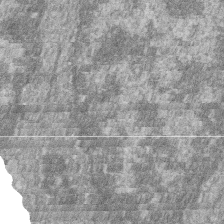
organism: Zebrafish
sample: Cilia; retinal pigment epithelium